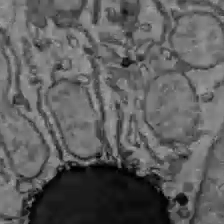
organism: C57BL Mouse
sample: Liver